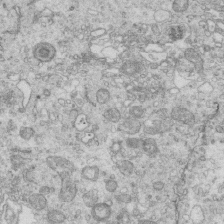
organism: Mouse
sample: Multiciliated cells